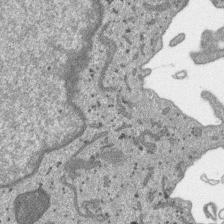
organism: Human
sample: Lung epithelial cells infected with SARS-CoV-2